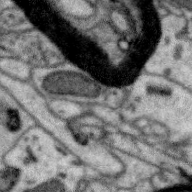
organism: Zebra finch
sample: Brain